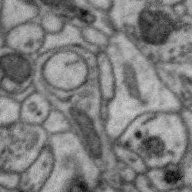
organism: Zebra finch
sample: Brain